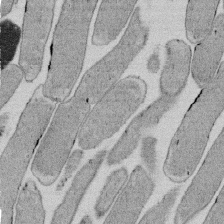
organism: E. coli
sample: Bacterial nucleoid